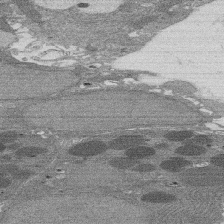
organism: Rat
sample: Salivary granule